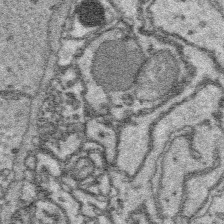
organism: Platynereis dumerilii